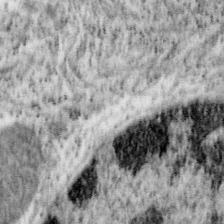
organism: Mouse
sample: OT-I killer T cells with ID8 ovarian cancer cells